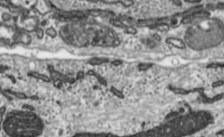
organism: Toxoplasma gondii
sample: Parasites in a vacuole inside a host cell